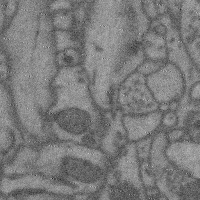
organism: Mouse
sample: Cerebral cortex